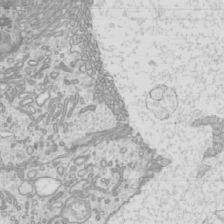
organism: Mouse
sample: Cilia; mouse epididymis